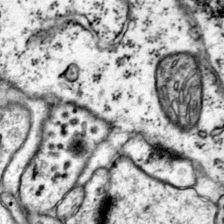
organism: Mouse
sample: Primary visual cortex